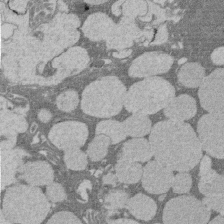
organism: Rat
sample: Salivary granule